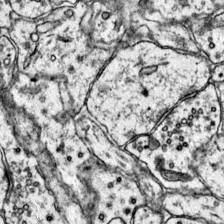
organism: Mouse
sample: Primary visual cortex